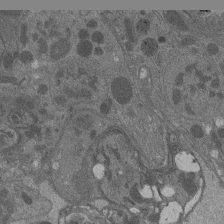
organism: Drosophila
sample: Antenna